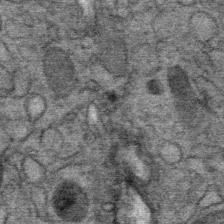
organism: Mouse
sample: Mouse Salivary gland